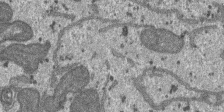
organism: Human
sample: Lung epithelial cells infected with SARS-CoV-2